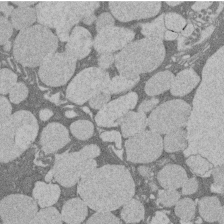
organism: Rat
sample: Salivary granule